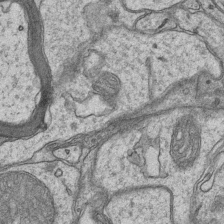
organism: Mouse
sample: CA1 Hippocampus